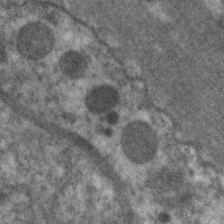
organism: C. elegans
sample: Pharynx